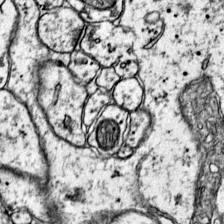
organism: Mouse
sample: Primary visual cortex